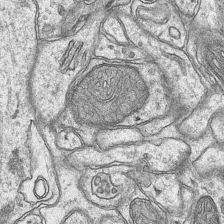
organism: Mouse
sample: CA1 Hippocampus